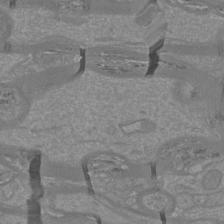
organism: Mouse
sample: Cortical neurons